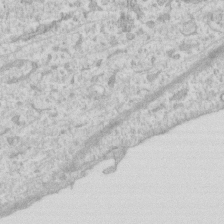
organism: Human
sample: Fibroblast cells